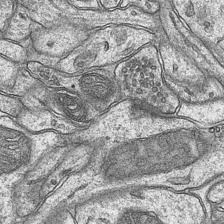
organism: Mouse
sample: CA1 Hippocampus